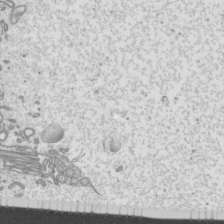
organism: Mouse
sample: Cilia; mouse epididymis